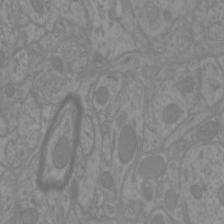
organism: Mouse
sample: Cortical neurons